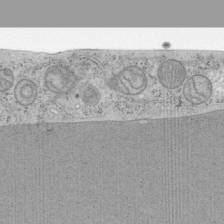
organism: Human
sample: HeLa cells